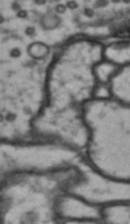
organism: Drosophila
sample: Brain